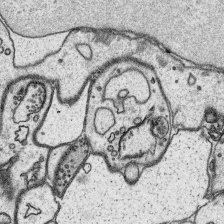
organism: Platynereis dumerilii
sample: Parapodia